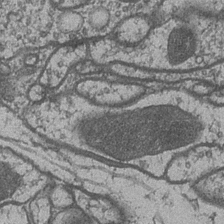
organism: Drosophila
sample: Optic medulla